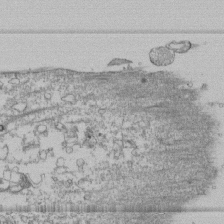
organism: Human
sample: Fibroblast cells